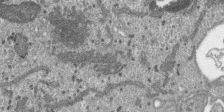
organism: Human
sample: Lung epithelial cells infected with SARS-CoV-2